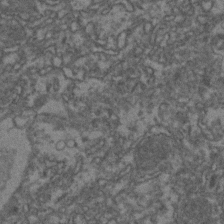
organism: Zebrafish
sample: Zebrafish embryo